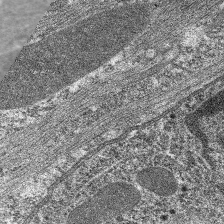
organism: C. elegans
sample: Pharynx